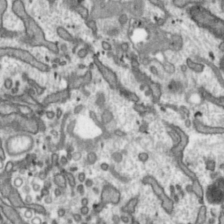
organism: Toxoplasma gondii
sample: Parasites in a vacuole inside a host cell